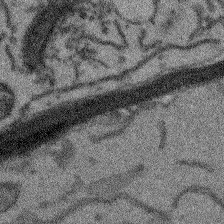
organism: Arabidopsis thaliana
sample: Root tip